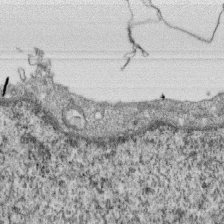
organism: African green monkey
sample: Vero E6 cells infected with SARS-CoV-2